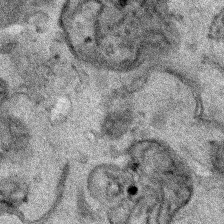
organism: Human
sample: Mitochondria in HCT116 cells